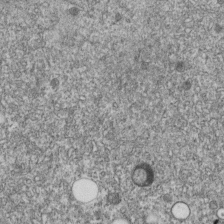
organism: C. elegans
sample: C. elegans embryo early stage